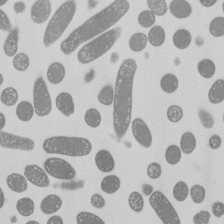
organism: E. coli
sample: Bacterial nucleoid